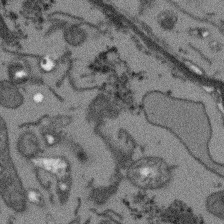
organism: Arabidopsis thaliana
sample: Root tip